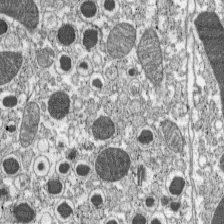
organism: C57BL Mouse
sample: Pancreatic islet